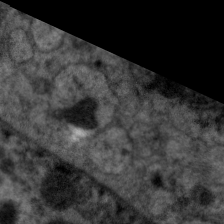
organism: C. elegans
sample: Pharynx